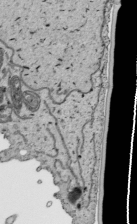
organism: Human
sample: Mitochondria in HCT116 cells